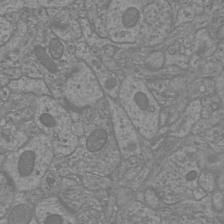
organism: Mouse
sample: Cortical neurons